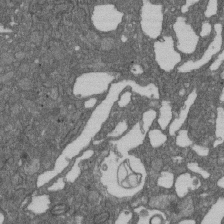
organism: Drosophila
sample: Nephrocyte